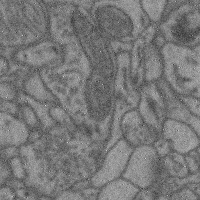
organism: Mouse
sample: Cerebral cortex